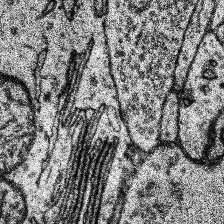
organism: Human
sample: Temporal Lobe